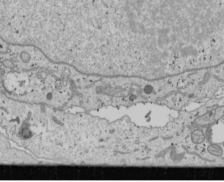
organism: Human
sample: Mitochondria in U2OS cells